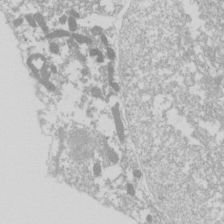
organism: Drosophila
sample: Cell division; meiosis; drosophila spermatocytes